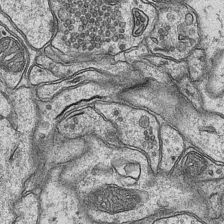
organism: Mouse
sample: CA1 Hippocampus